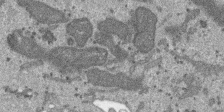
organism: Human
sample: Lung epithelial cells infected with SARS-CoV-2